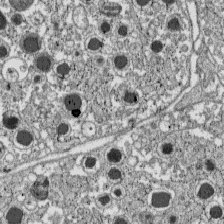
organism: C57BL Mouse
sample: Pancreatic islet